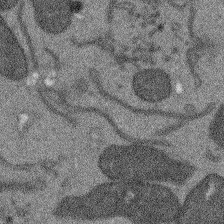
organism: Arabidopsis thaliana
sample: Root tip